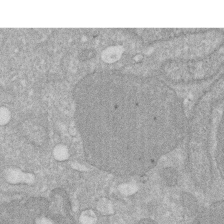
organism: Human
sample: HIV infected U937 cells